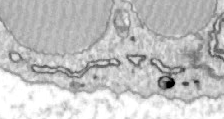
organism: Zebrafish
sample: Actinotrichia fibers